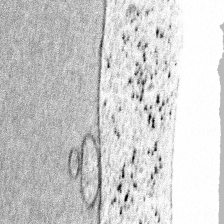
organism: Human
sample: HeLa cells